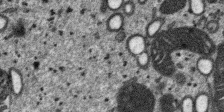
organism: Human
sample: Lung epithelial cells infected with SARS-CoV-2